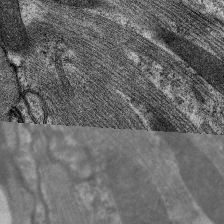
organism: C. elegans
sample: Pharynx